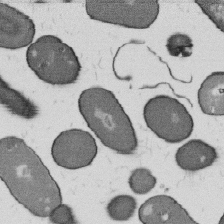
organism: B. subtilis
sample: Bacterial spore